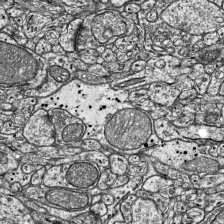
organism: Mouse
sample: Visual Cortex